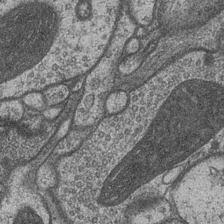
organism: Drosophila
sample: Optic medulla